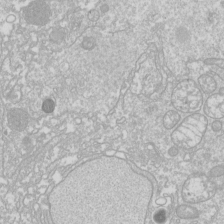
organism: Drosophila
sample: Cell division; meiosis; drosophila spermatocytes